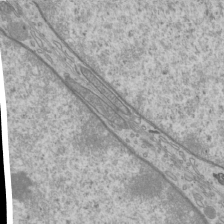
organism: Mouse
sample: Cilia; mouse epididymis